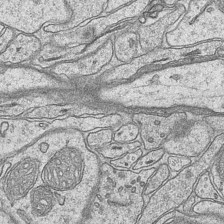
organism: Mouse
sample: CA1 Hippocampus